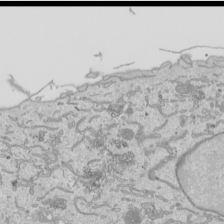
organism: Human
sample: Mitochondria in HCT116 cells